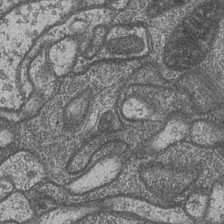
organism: Drosophila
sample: Optic medulla